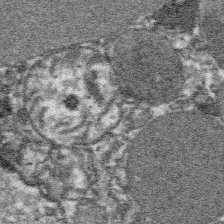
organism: Platynereis dumerilii